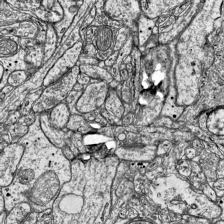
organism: Mouse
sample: Visual Cortex